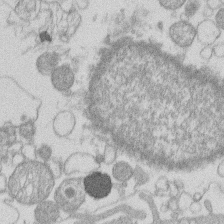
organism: Human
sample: Macrophage cells